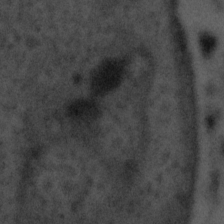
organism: Tuwongella immobilis